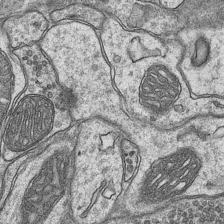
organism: Mouse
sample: CA1 Hippocampus